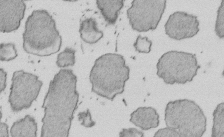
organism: E. coli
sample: Bacterial nucleoid